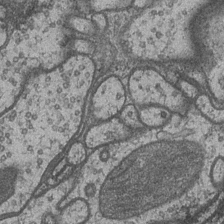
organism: Drosophila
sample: Optic medulla